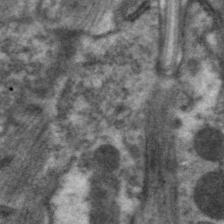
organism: C. elegans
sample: Pharynx